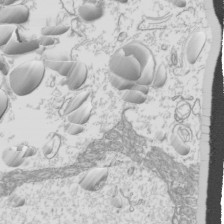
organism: Mouse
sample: Cilia; mouse epididymis